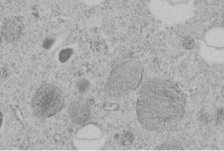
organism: C. elegans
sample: C. elegans embryo early stage